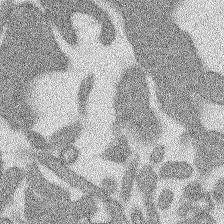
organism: Human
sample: HeLa cells